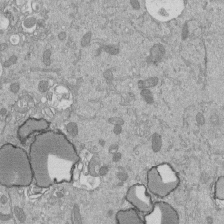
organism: Mouse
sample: ED-1 cell nuclei; centrioles